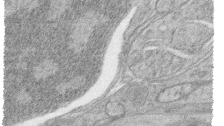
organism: Zebrafish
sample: synaptic ribbons in rod cells and cone cells